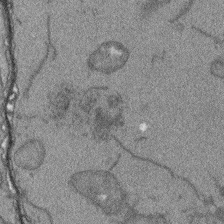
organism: Arabidopsis thaliana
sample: Root tip